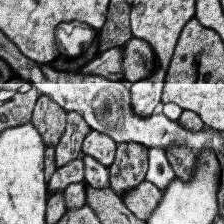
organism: Human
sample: Temporal Lobe